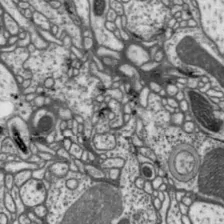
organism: Drosophila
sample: Protocerebral bridge